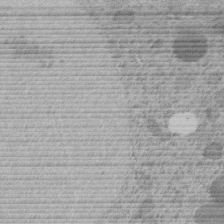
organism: C. elegans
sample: C. elegans embryo early stage